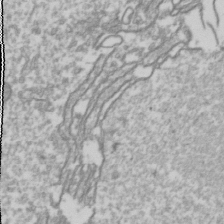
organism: Drosophila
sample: Cell division; meiosis; drosophila spermatocytes